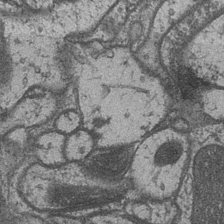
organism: Drosophila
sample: Optic medulla